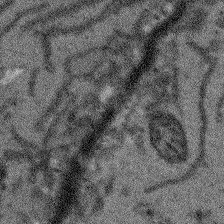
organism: Arabidopsis thaliana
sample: Root tip